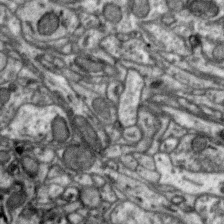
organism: Zebra finch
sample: Brain